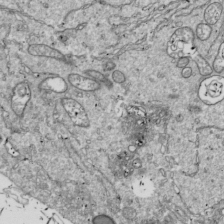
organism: Drosophila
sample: Cell division; meiosis; drosophila spermatocytes